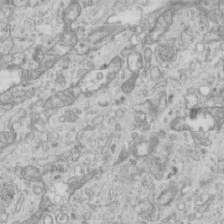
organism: Mouse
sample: Centriole in ependymal cells